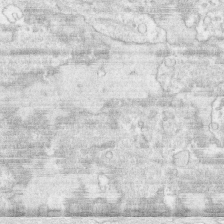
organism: Human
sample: CRL-1474